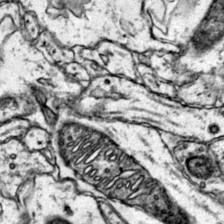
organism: Mouse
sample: Primary visual cortex